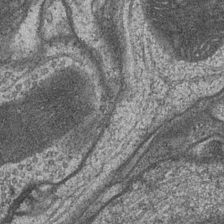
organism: Drosophila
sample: Optic medulla